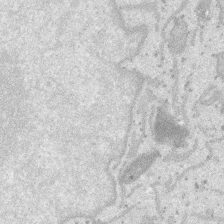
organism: Human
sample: Lung epithelial cells infected with SARS-CoV-2